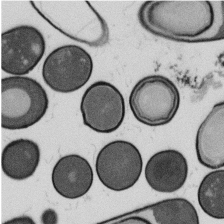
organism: B. subtilis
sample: Bacterial spore